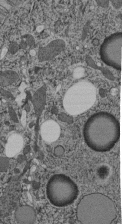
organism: C. elegans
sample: C. elegans pharynx